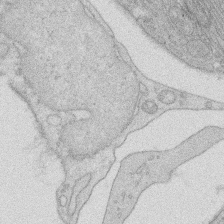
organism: Rat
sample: Salivary granule